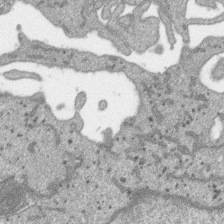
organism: Human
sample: Lung epithelial cells infected with SARS-CoV-2